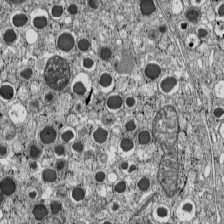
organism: C57BL Mouse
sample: Pancreatic islet